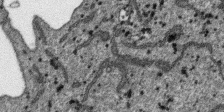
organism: Human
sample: Lung epithelial cells infected with SARS-CoV-2